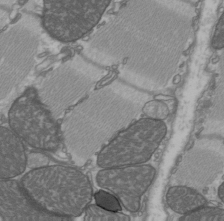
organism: C57BL Mouse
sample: Heart